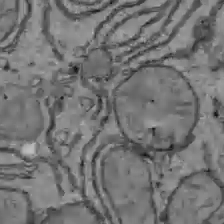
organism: C57BL Mouse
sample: Liver